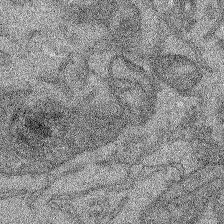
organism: Human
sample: HeLa cells